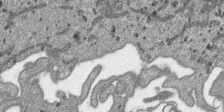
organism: Human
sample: Lung epithelial cells infected with SARS-CoV-2